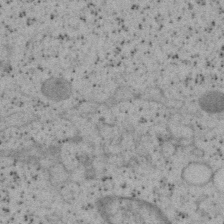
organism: Human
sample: HeLa cells